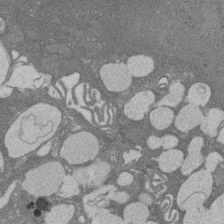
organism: Rat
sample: Salivary granule